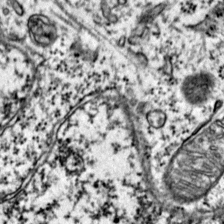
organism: Mouse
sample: Primary visual cortex